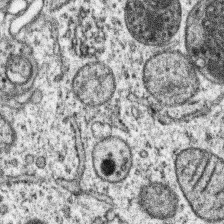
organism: Human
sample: HeLa cells